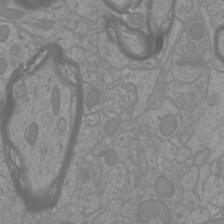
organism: Mouse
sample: Cortical neurons